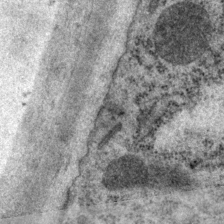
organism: P. pacificus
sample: Pharynx